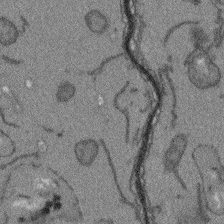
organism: Arabidopsis thaliana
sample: Root tip